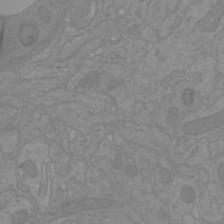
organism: Mouse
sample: Cortical neurons